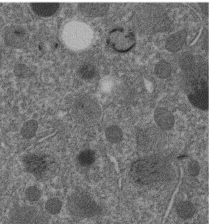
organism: C. elegans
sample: C. elegans embryo early stage